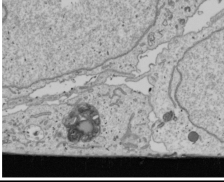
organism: Human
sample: Mitochondria in U2OS cells